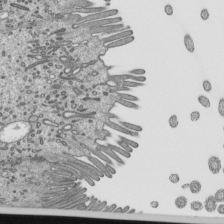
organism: Mouse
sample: Mouse epididymis efferent ductule cilia